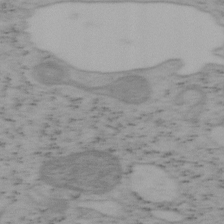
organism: Mouse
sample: OT-I killer T cells with ID8 ovarian cancer cells